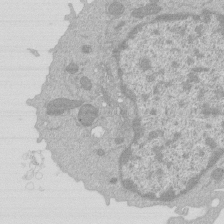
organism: Mouse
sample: Activated Pmel transgenic CD8+ T Cells